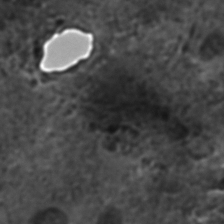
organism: C. elegans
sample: C. elegans embryo